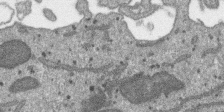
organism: Human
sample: Lung epithelial cells infected with SARS-CoV-2